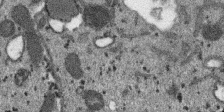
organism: Human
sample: Lung epithelial cells infected with SARS-CoV-2